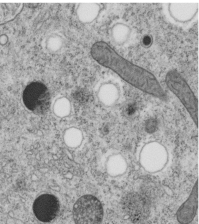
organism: C. elegans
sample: C. elegans embryo early stage